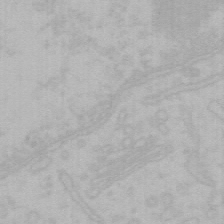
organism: Mouse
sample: Choroid plexus